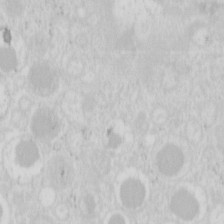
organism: Mouse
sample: Pancreas